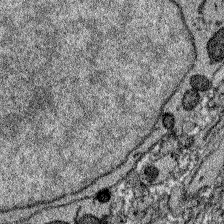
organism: Zebrafish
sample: Larval olfactory bulb